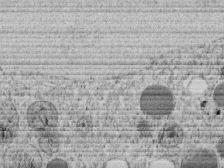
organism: C. elegans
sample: C. elegans embryo early stage